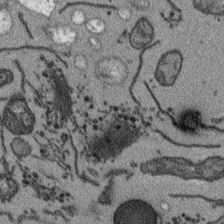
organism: Arabidopsis thaliana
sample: Root tip